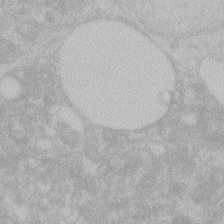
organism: Zebrafish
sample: Macrophage infected with Toxoplasma gondii